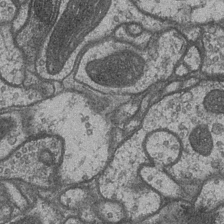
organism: Drosophila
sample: Optic medulla